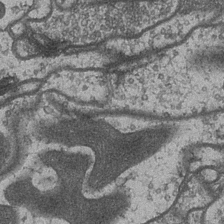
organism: Drosophila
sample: Optic medulla